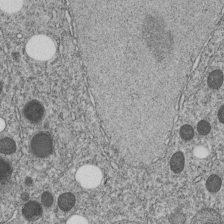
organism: C. elegans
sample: C. elegans embryo early stage